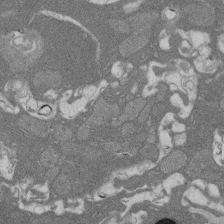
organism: Rat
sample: Salivary granule